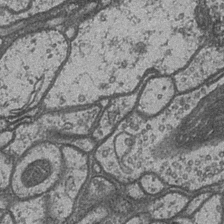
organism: Drosophila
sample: Optic medulla